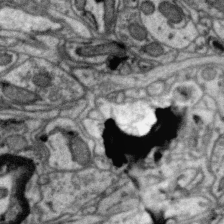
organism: Zebra finch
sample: Brain